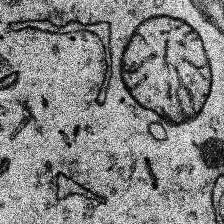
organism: Human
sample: Temporal Lobe